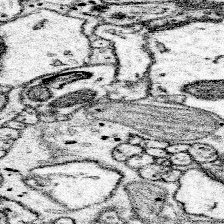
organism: Mouse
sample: Somatosensory cortex neuropil